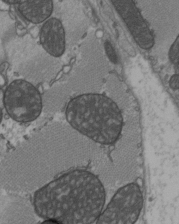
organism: C57BL Mouse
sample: Heart